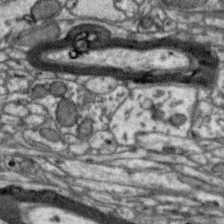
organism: Zebra finch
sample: Brain